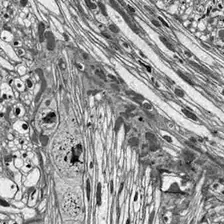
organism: Drosophila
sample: Optic lobe